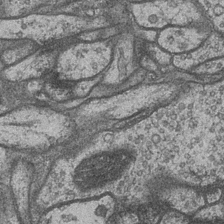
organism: Drosophila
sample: Optic medulla